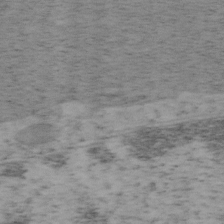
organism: Mouse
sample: OT-I killer T cells with ID8 ovarian cancer cells